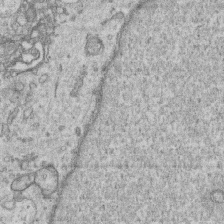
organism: Human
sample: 1205lu cells